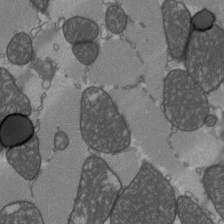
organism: C57BL Mouse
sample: Heart